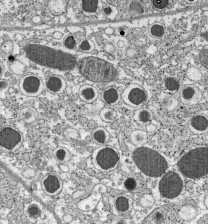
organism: C57BL Mouse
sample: Pancreatic islet